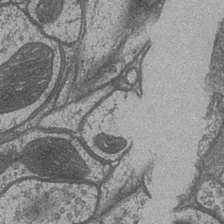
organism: Drosophila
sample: Optic medulla